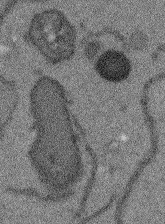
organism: Arabidopsis thaliana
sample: Root tip